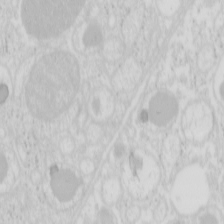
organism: Mouse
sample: Pancreas